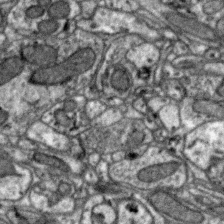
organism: Zebra finch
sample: Brain